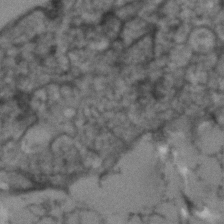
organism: Human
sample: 1205lu cells